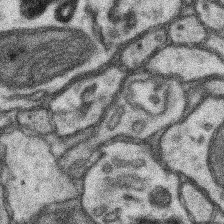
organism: Mouse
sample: Somatosensory cortex neuropil